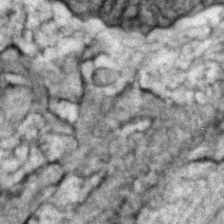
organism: Zebrafish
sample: Zebrafish embryo